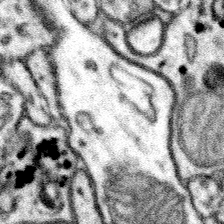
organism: Mouse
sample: Somatosensory cortex neuropil